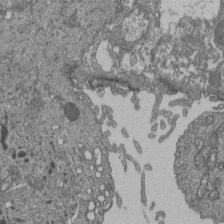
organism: Human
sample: Retinal organoid Rod and Cone cells